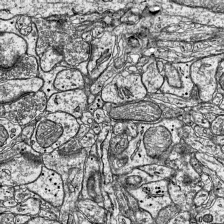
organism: Mouse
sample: Visual Cortex